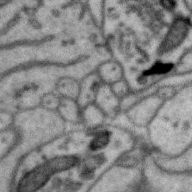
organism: Zebra finch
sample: Brain